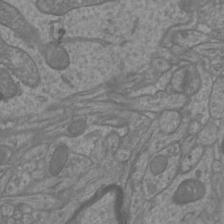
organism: Mouse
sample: Cortical neurons